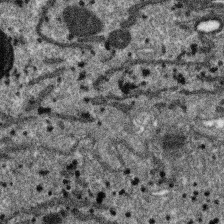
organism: Human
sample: Lung epithelial cells infected with SARS-CoV-2